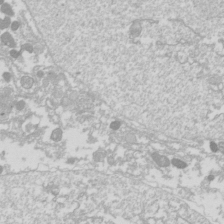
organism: Drosophila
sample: Cell division; meiosis; drosophila spermatocytes